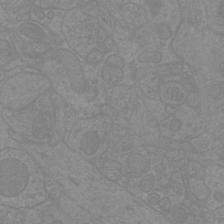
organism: Mouse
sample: Cortical neurons